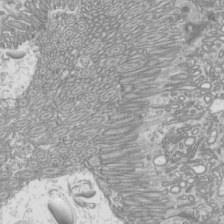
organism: Mouse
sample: Cilia; mouse epididymis